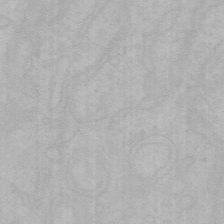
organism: Mouse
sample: Choroid plexus